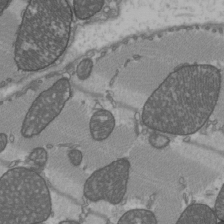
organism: C57BL Mouse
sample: Heart